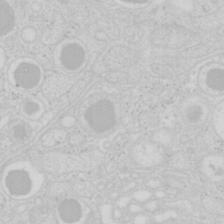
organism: Mouse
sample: Pancreas